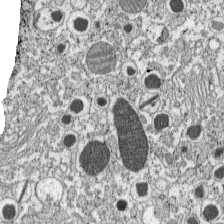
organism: C57BL Mouse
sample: Pancreatic islet